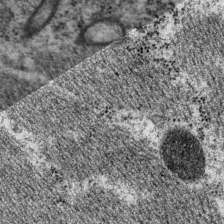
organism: P. pacificus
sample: Pharynx